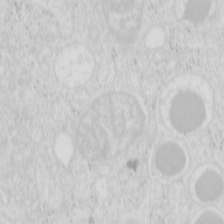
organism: Mouse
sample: Pancreas